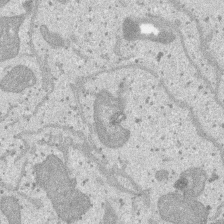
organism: Human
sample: Lung epithelial cells infected with SARS-CoV-2